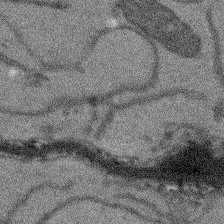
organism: Arabidopsis thaliana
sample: Root tip